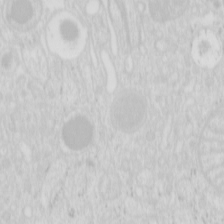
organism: Mouse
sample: Pancreas